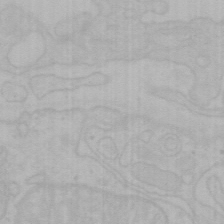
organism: Mouse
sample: Choroid plexus